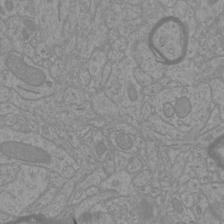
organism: Mouse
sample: Cortical neurons